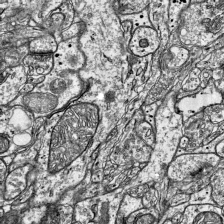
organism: Mouse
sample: Visual Cortex